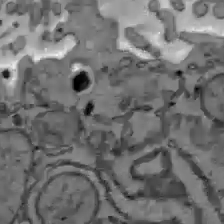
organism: C57BL Mouse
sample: Liver